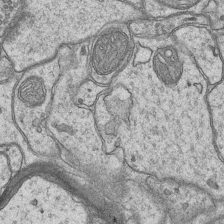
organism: Mouse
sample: CA1 Hippocampus